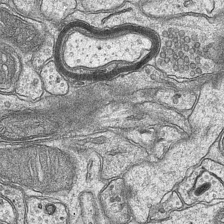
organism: Mouse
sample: CA1 Hippocampus